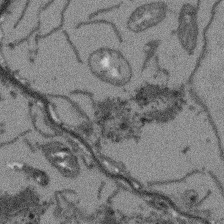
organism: Arabidopsis thaliana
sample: Root tip